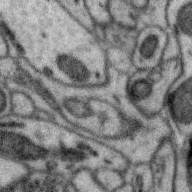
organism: Zebra finch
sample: Brain